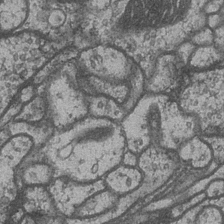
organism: Drosophila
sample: Optic medulla